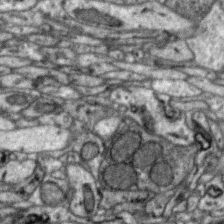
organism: Zebra finch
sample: Brain